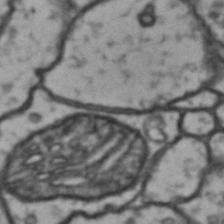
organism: Drosophila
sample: Brain